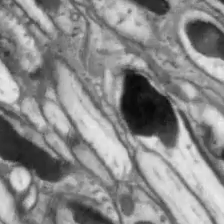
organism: Drosophila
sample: Optic lobe